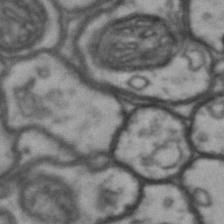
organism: Drosophila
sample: Brain